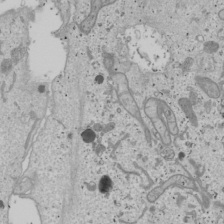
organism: Human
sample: Mitochondria in U2OS cells